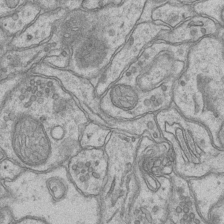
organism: Mouse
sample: CA1 Hippocampus